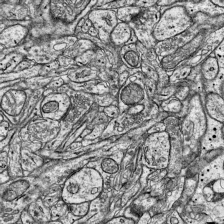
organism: Mouse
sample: Visual Cortex